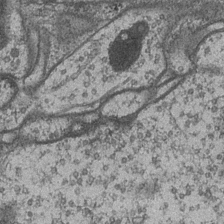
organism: Drosophila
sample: Optic medulla